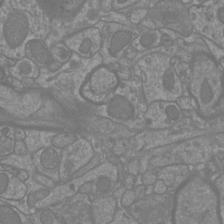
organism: Mouse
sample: Cortical neurons